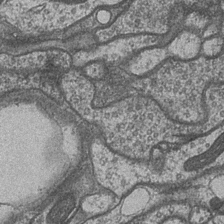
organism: Drosophila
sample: Optic medulla